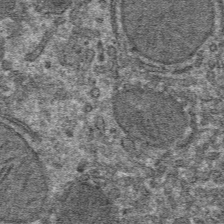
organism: Mouse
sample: Mouse hepatocytes